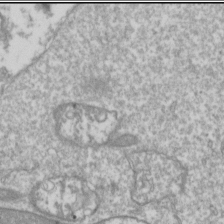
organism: Drosophila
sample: Cell division; meiosis; drosophila spermatocytes